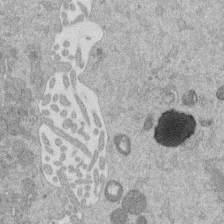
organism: Mouse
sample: Dividing mouse embryo 1 cell stage